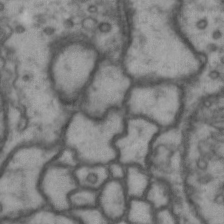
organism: Drosophila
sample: Brain